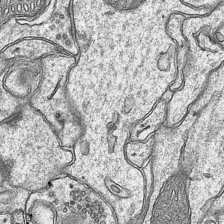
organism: Mouse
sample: CA1 Hippocampus